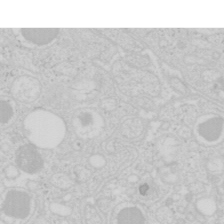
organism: Mouse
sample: Pancreas